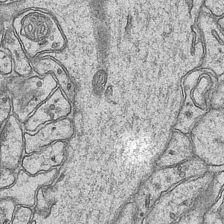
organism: Mouse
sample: CA1 Hippocampus